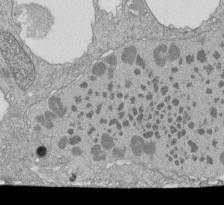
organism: Tetrahymena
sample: Cilia in tetrahymena